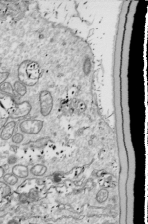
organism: Drosophila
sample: Cell division; meiosis; drosophila spermatocytes